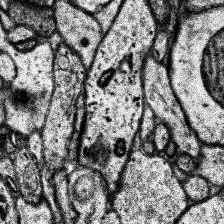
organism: Human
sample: Temporal Lobe